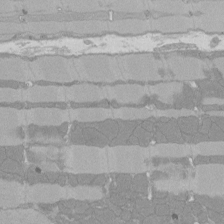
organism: Rat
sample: Left ventricle